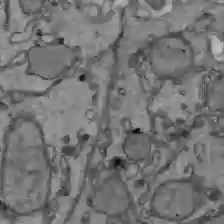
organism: C57BL Mouse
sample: Liver